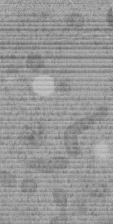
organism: C. elegans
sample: C. elegans embryo early stage